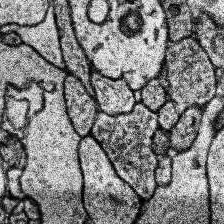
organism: Human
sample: Temporal Lobe